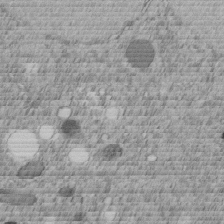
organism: C. elegans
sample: C. elegans embryo early stage